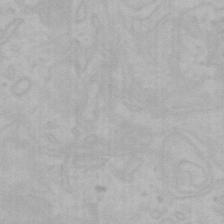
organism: Mouse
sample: Choroid plexus